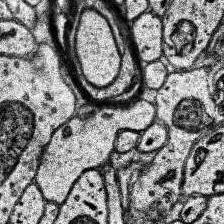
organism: Human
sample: Temporal Lobe